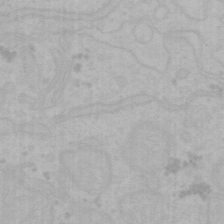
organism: Mouse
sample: Choroid plexus